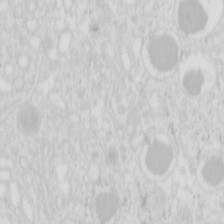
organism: Mouse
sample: Pancreas